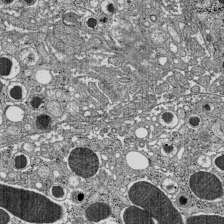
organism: C57BL Mouse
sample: Pancreatic islet